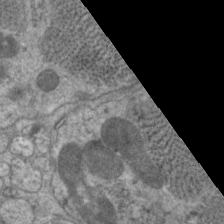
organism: C. elegans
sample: Pharynx